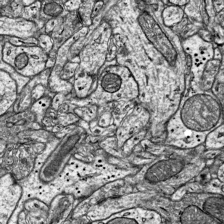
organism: Mouse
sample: Visual Cortex